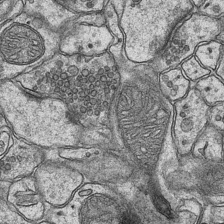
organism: Mouse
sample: CA1 Hippocampus